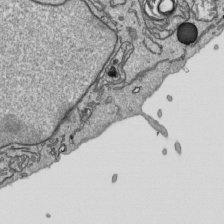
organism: Human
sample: Mitochondria in HCT116 cells